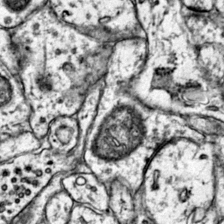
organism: Mouse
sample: Primary visual cortex